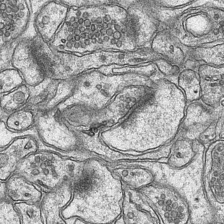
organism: Mouse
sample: CA1 Hippocampus